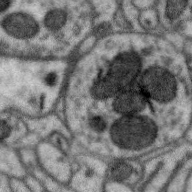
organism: Zebra finch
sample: Brain